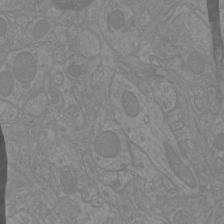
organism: Mouse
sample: Cortical neurons